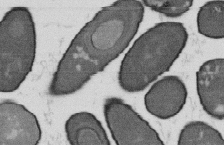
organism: B. subtilis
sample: Bacterial spore